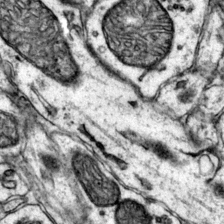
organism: Mouse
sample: Primary visual cortex